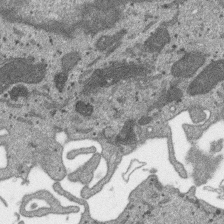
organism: Human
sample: Lung epithelial cells infected with SARS-CoV-2